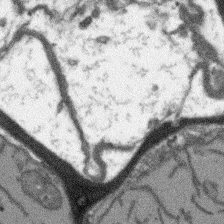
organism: Arabidopsis thaliana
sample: Root tip